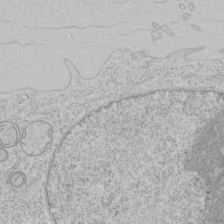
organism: Human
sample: Mitochondria in HCT116 cells